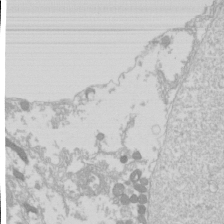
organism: Drosophila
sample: Cell division; meiosis; drosophila spermatocytes